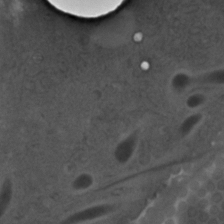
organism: C. elegans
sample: C. elegans embryo